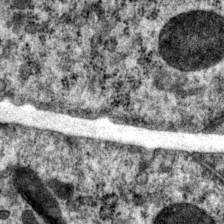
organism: P. pacificus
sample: Pharynx